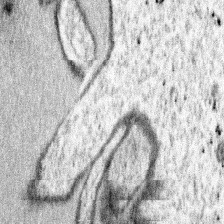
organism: Human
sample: HeLa cells